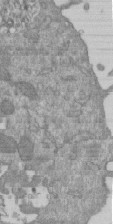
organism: Mouse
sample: ED-1 cell nuclei; centrioles